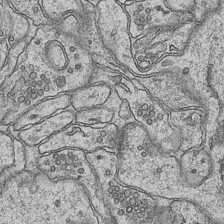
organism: Mouse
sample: CA1 Hippocampus